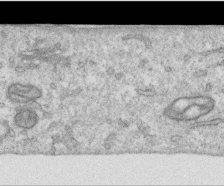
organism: Human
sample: Centriole in RPE cells